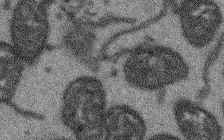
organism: Arabidopsis thaliana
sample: Root tip